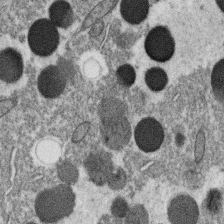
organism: C. elegans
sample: C. elegans oocyte; sperm cells